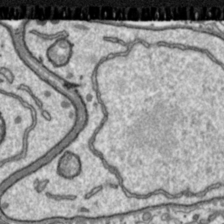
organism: Toxoplasma gondii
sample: Parasites in a vacuole inside a host cell